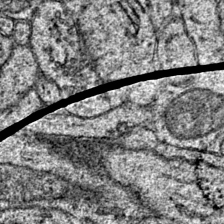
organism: Mouse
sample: Primary visual cortex